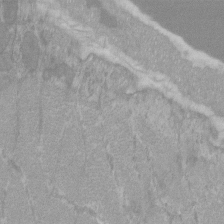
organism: C57BL Mouse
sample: Tibialis anterior muscle cell